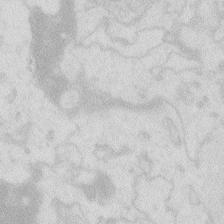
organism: Zebrafish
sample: Macrophage